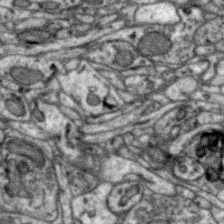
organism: Zebra finch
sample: Brain